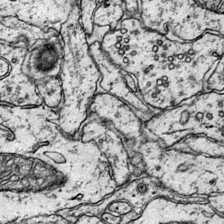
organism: Mouse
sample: Primary visual cortex